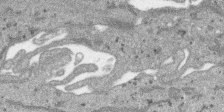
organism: Human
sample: Lung epithelial cells infected with SARS-CoV-2